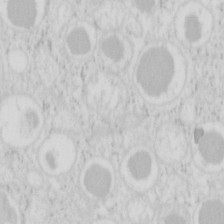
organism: Mouse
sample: Pancreas